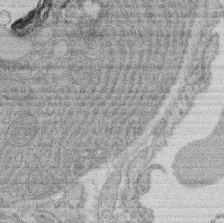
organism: Rat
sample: Salivary granule